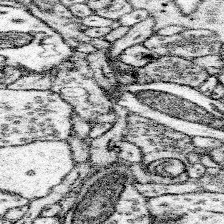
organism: Mouse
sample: Somatosensory cortex neuropil